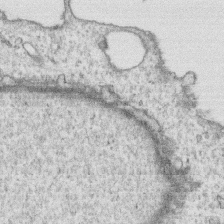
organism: Human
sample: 1205lu cells